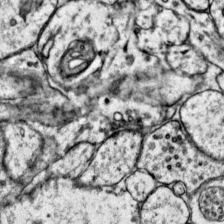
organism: Mouse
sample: Primary visual cortex